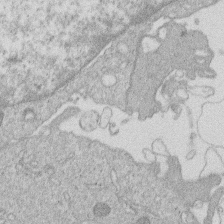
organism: Human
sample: Macrophage cells